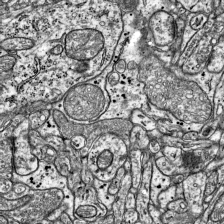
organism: Mouse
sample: Visual Cortex